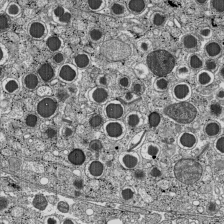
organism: C57BL Mouse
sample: Pancreatic islet